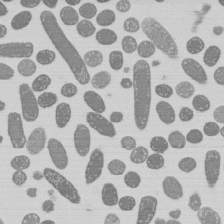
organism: E. coli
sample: Bacterial nucleoid